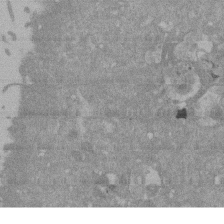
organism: Mouse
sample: ED-1 cell nuclei; centrioles